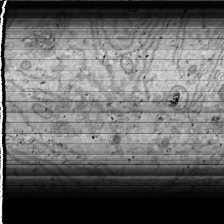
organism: Drosophila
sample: Cell division; meiosis; drosophila spermatocytes